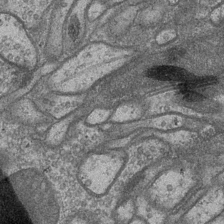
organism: Drosophila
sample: Optic medulla